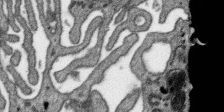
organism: Human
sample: Lung epithelial cells, uninfected (mock) control